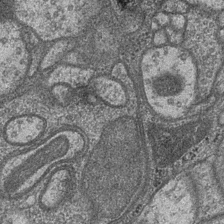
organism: Drosophila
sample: Optic medulla